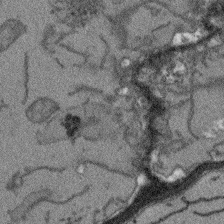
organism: Arabidopsis thaliana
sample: Root tip